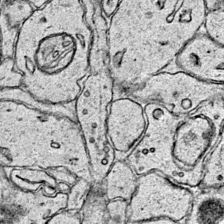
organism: Mouse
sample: Primary visual cortex